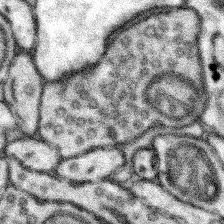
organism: Mouse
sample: Somatosensory cortex neuropil